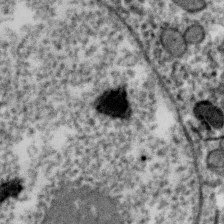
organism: Zebra finch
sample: Brain